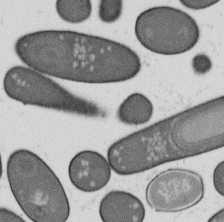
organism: B. subtilis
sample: Bacterial spore